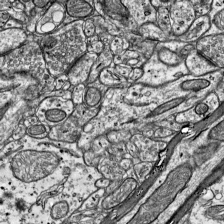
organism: Mouse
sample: Visual Cortex